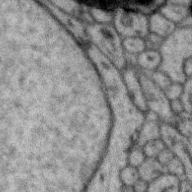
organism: Zebra finch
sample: Brain